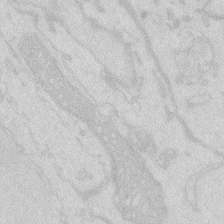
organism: Zebrafish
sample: Macrophage